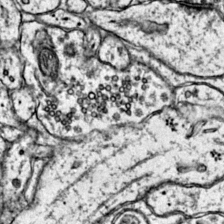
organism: Mouse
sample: Primary visual cortex